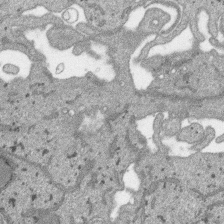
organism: Human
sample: Lung epithelial cells infected with SARS-CoV-2